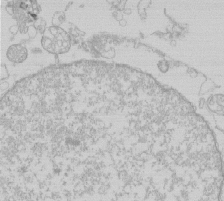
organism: Human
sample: Macrophage cells